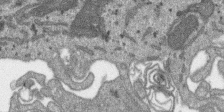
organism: Human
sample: Lung epithelial cells infected with SARS-CoV-2